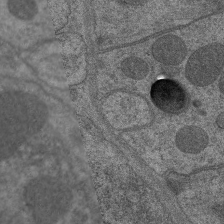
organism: C. elegans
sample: Pharynx